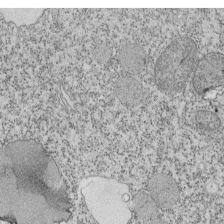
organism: Tetrahymena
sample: Cilia in tetrahymena